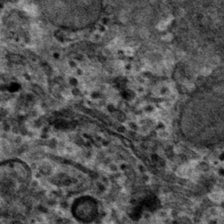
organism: Mouse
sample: Mouse hepatocytes